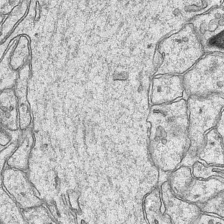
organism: Mouse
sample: CA1 Hippocampus